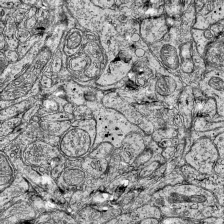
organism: Mouse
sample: Visual Cortex